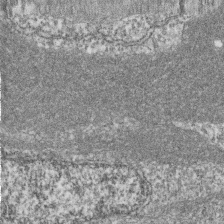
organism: Zebrafish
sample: Cilia; retinal pigment epithelium